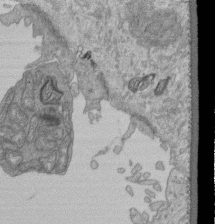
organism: Human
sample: Retinal organoid Rod and Cone cells